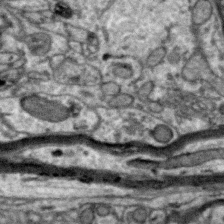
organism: Zebra finch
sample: Brain